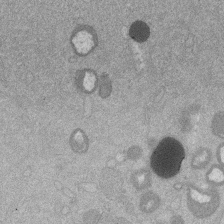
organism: Mouse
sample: Dividing mouse embryo 1 cell stage